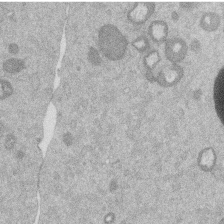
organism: Mouse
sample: Dividing mouse embryo 1 cell stage